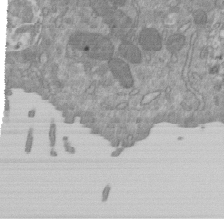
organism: Mouse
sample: ED-1 cell nuclei; centrioles